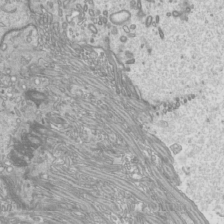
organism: Mouse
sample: Cilia; mouse epididymis